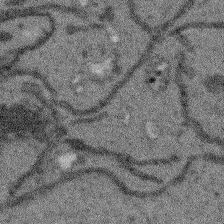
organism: Arabidopsis thaliana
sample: Root tip